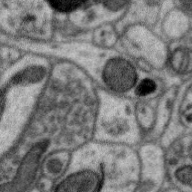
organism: Zebra finch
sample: Brain